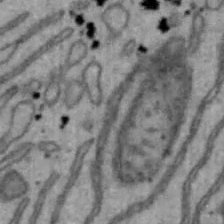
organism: Mouse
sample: Liver